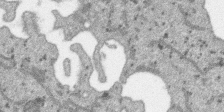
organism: Human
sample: Lung epithelial cells infected with SARS-CoV-2